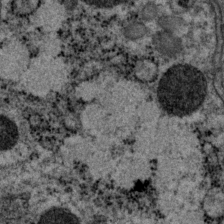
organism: P. pacificus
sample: Pharynx